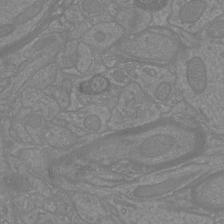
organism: Mouse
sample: Cortical neurons